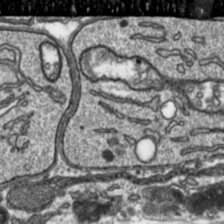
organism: Toxoplasma gondii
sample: Parasites in a vacuole inside a host cell